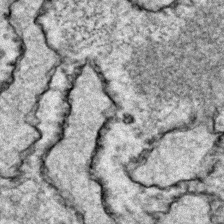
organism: Zebrafish